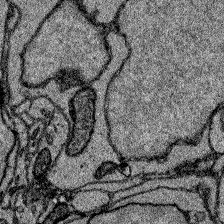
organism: Zebrafish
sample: Larval olfactory bulb